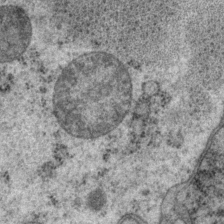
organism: P. pacificus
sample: Pharynx